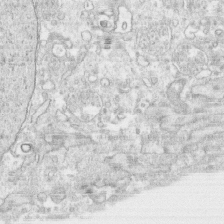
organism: Human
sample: CRL-1474